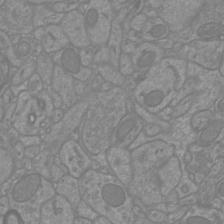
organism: Mouse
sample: Cortical neurons